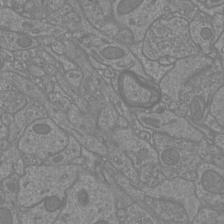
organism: Mouse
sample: Cortical neurons